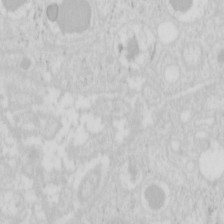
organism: Mouse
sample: Pancreas